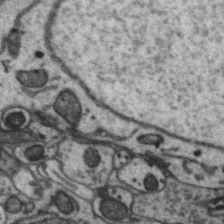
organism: Zebra finch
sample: Brain